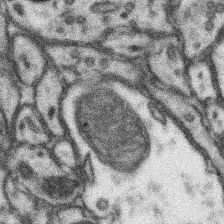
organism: Mouse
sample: Somatosensory cortex neuropil